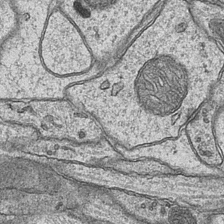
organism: Mouse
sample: CA1 Hippocampus